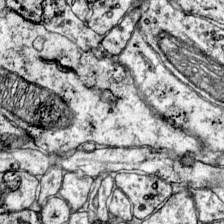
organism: Mouse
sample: Primary visual cortex